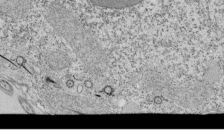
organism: Tetrahymena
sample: Cilia in tetrahymena